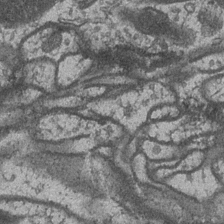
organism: Drosophila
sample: Optic medulla